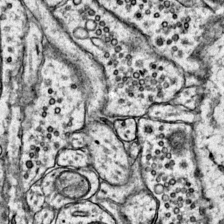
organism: Mouse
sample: Primary visual cortex